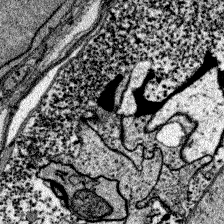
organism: Zebrafish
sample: Larval olfactory bulb